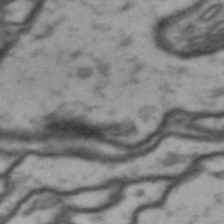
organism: Drosophila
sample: Brain